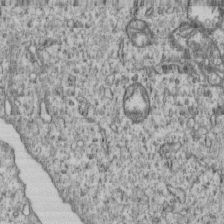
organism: Human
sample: MDA-MB-231 cells